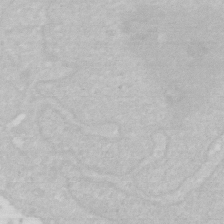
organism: Human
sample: HIV infected U937 cells